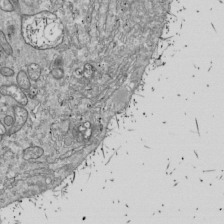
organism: Drosophila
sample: Cell division; meiosis; drosophila spermatocytes